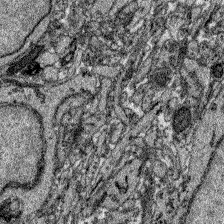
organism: Zebrafish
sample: Larval olfactory bulb